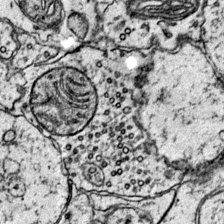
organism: Mouse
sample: Primary visual cortex